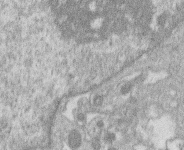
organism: Human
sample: Macrophage cells